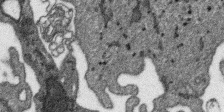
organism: Human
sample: Lung epithelial cells infected with SARS-CoV-2